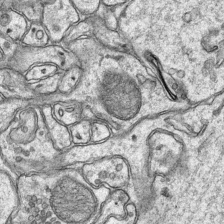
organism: Mouse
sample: CA1 Hippocampus